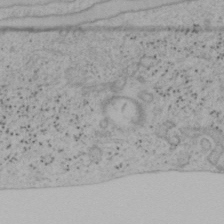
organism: Human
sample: HeLa cells